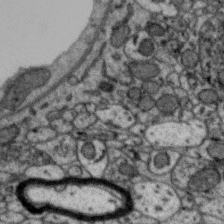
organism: Zebra finch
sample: Brain